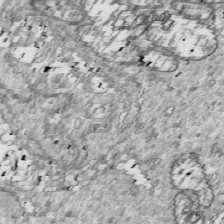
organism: Drosophila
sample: Cell division; meiosis; drosophila spermatocytes